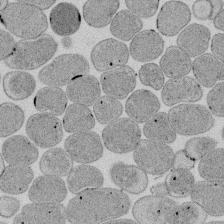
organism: E. coli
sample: Bacterial nucleoid